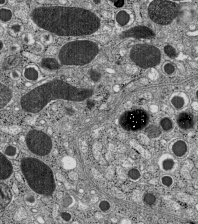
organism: C57BL Mouse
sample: Pancreatic islet